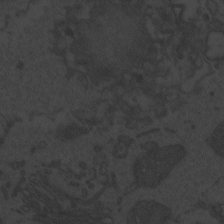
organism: Zebrafish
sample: Macrophage infected with Toxoplasma gondii